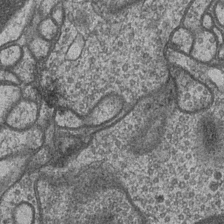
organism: Drosophila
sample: Optic medulla